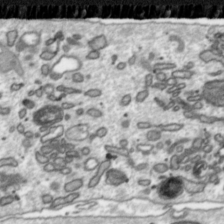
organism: Toxoplasma gondii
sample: Parasites in a vacuole inside a host cell